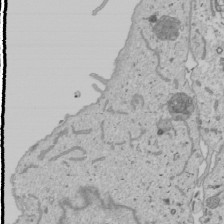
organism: Human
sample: Mitochondria in U2OS cells